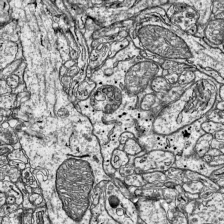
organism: Mouse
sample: Visual Cortex